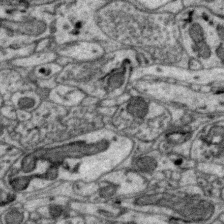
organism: Zebra finch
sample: Brain